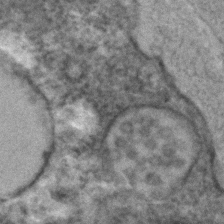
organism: C. elegans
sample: C. elegans embryo